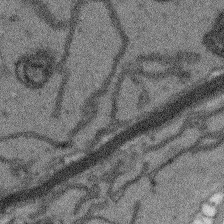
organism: Arabidopsis thaliana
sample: Root tip